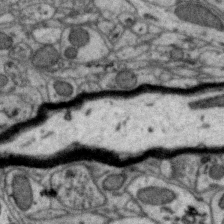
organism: Zebra finch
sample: Brain